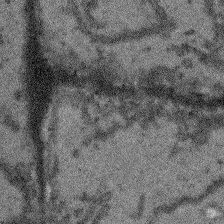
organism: Arabidopsis thaliana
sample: Root tip